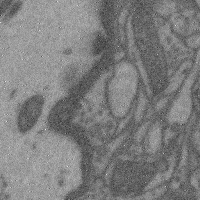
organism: Mouse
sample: Cerebral cortex